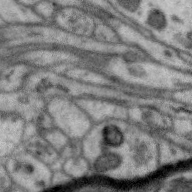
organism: Zebra finch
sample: Brain